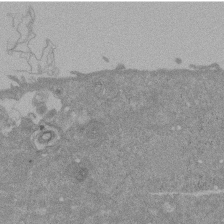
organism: Mouse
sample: ED-1 cell nuclei; centrioles